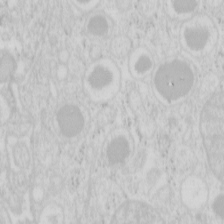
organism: Mouse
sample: Pancreas